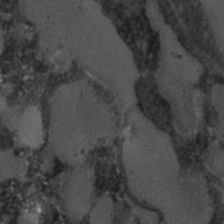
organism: C. elegans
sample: C. elegans embryo